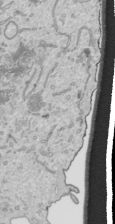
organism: Human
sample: Mitochondria in HCT116 cells